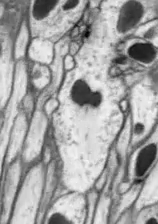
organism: Drosophila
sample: Optic lobe